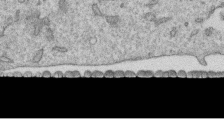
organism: Human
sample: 1205lu cells